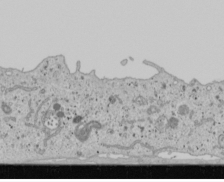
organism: Human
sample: Mitochondria in U2OS cells